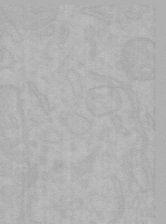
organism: Mouse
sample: Choroid plexus